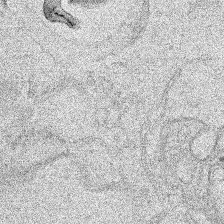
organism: Human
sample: Mitochondria in HCT116 cells